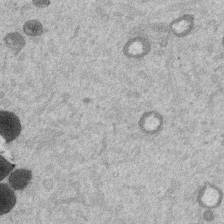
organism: Mouse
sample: Dividing mouse embryo 1 cell stage